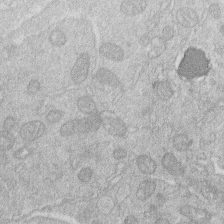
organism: Human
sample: Macrophage cells